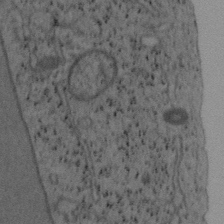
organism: Human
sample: HeLa cells